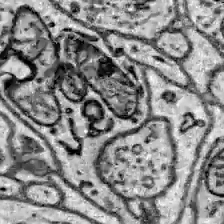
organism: Zebrafish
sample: Brain